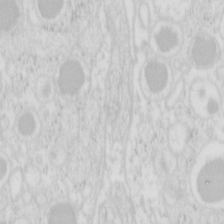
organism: Mouse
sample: Pancreas